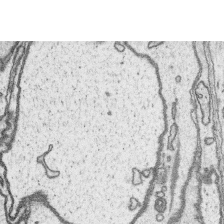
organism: Platynereis dumerilii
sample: Parapodia